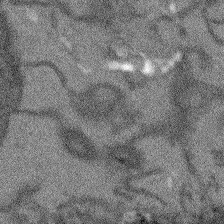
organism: Arabidopsis thaliana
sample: Root tip